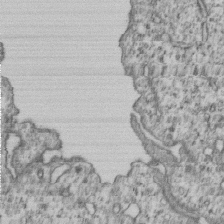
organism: Human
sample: MDA-MB-231 cells